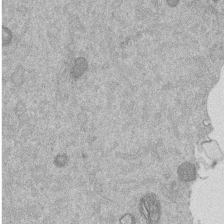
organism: Mouse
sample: Dividing mouse embryo 1 cell stage